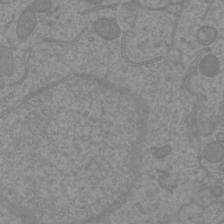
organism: Mouse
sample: Cortical neurons